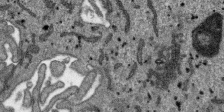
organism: Human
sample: Lung epithelial cells, uninfected (mock) control